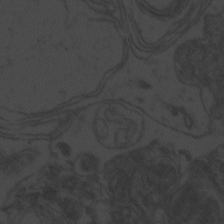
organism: Zebrafish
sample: Macrophage infected with Toxoplasma gondii